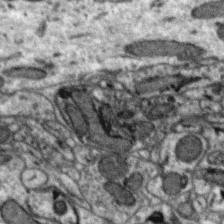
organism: Zebra finch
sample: Brain